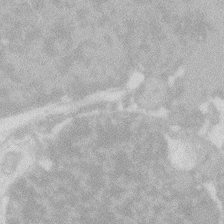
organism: Zebrafish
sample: Macrophage